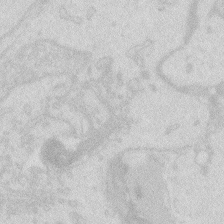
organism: Zebrafish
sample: Macrophage